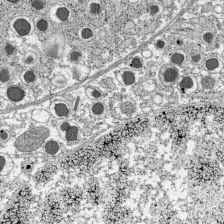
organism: C57BL Mouse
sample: Pancreatic islet